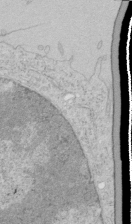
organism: Human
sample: Mitochondria in HCT116 cells